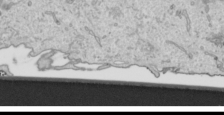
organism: Human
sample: Mitochondria in HCT116 cells